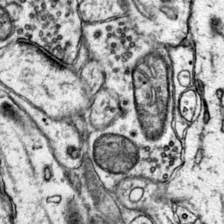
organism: Mouse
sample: Primary visual cortex